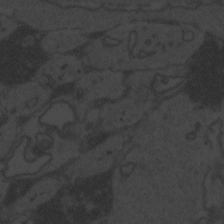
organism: Zebrafish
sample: Macrophage infected with Toxoplasma gondii